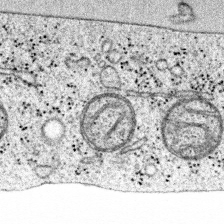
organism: Human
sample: HeLa cells